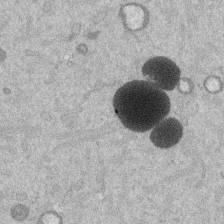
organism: Mouse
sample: Dividing mouse embryo 1 cell stage